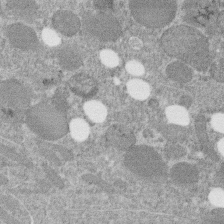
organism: C. elegans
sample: C. elegans embryo early stage